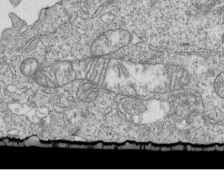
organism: Human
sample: HeLa cell HIV synapse